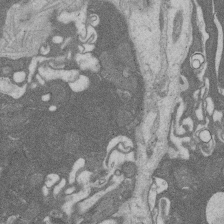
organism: Rat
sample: Salivary granule